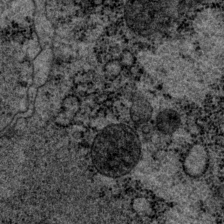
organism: P. pacificus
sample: Pharynx